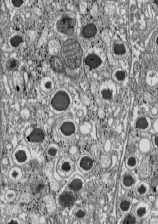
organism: C57BL Mouse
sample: Pancreatic islet